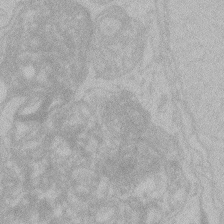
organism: Zebrafish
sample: Macrophage infected with Toxoplasma gondii